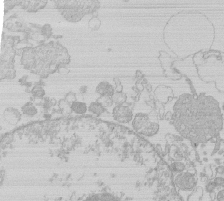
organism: Human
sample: Macrophage cells